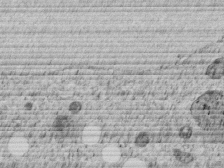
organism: C. elegans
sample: C. elegans embryo early stage